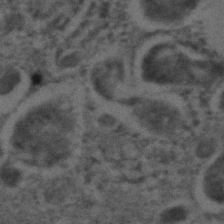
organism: C. elegans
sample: C. elegans embryo